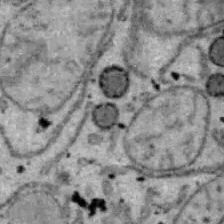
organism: Mouse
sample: Liver from an obese (ob/ob) mouse